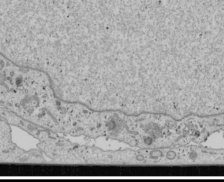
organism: Human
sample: Mitochondria in U2OS cells